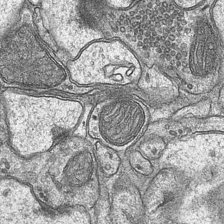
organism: Mouse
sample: CA1 Hippocampus